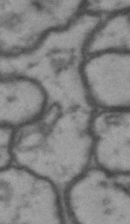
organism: Drosophila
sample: Brain